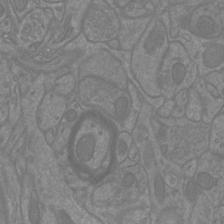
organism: Mouse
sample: Cortical neurons